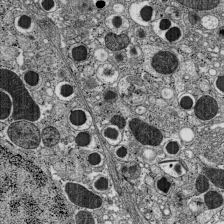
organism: C57BL Mouse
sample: Pancreatic islet